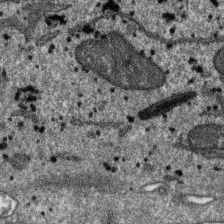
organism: Human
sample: Lung epithelial cells infected with SARS-CoV-2